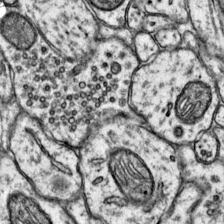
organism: Mouse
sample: Primary visual cortex